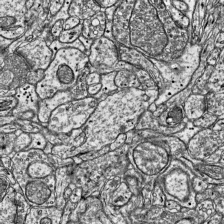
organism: Mouse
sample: Visual Cortex